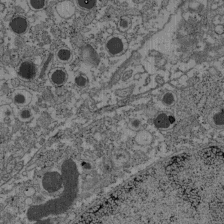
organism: C57BL Mouse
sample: Pancreatic islet